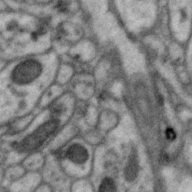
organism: Zebra finch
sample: Brain